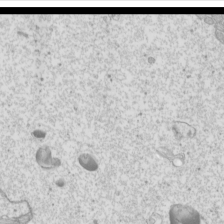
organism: Mouse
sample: Cilia; mouse epididymis